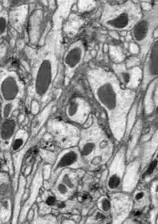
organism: Drosophila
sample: Optic lobe